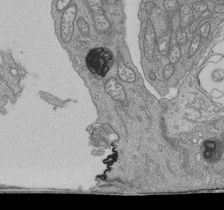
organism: Human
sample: Retinal organoid Rod and Cone cells